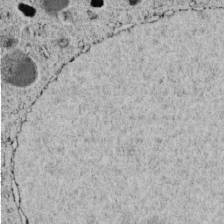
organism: C. elegans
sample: C. elegans embryo early stage